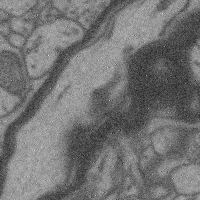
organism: Mouse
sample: Cerebral cortex